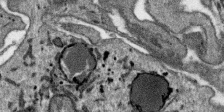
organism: Human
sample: Lung epithelial cells, uninfected (mock) control